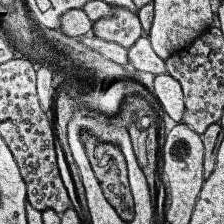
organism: Human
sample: Temporal Lobe